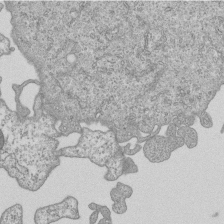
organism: Human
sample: MDA-MB-231 cells